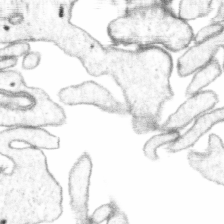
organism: Human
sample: HeLa cells